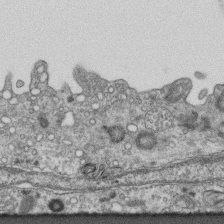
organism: Mouse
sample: Centriole in ependymal cells